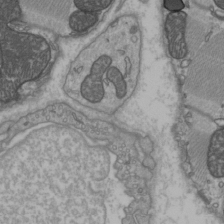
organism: C57BL Mouse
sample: Heart